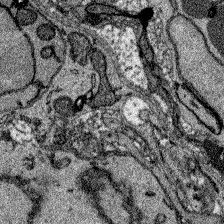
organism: Zebrafish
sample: Larval olfactory bulb